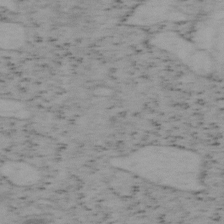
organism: Mouse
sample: OT-I killer T cells with ID8 ovarian cancer cells